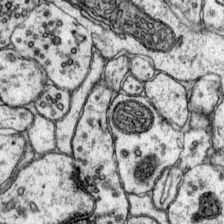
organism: Mouse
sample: Primary visual cortex